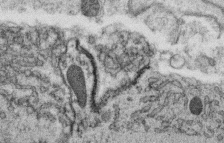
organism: C. elegans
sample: C. elegans oocyte; sperm cells